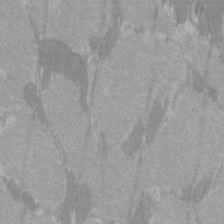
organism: C57BL Mouse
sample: Tibialis anterior muscle cell